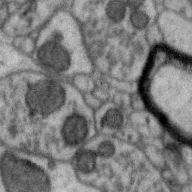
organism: Zebra finch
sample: Brain